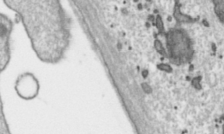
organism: Toxoplasma gondii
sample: Parasites in a vacuole inside a host cell